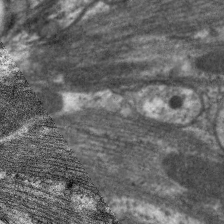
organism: C. elegans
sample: Pharynx